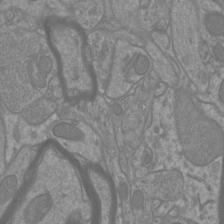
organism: Mouse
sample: Cortical neurons